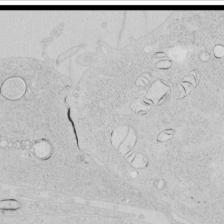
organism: Human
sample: Mitochondria in HCT116 cells